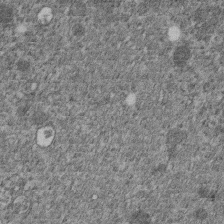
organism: C. elegans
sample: C. elegans embryo early stage